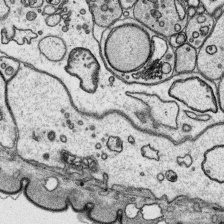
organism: Platynereis dumerilii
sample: Parapodia